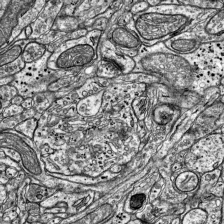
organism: Mouse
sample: Visual Cortex